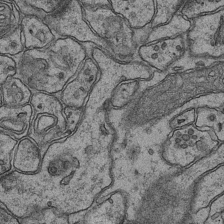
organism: Mouse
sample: CA1 Hippocampus